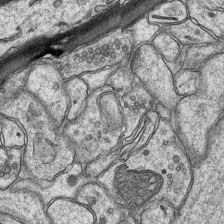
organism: Mouse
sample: CA1 Hippocampus